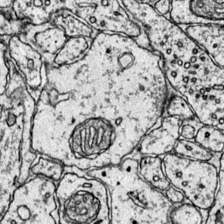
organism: Mouse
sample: Primary visual cortex